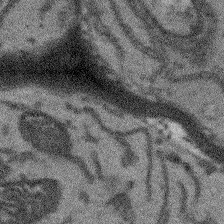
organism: Arabidopsis thaliana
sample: Root tip